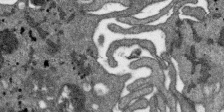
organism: Human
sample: Lung epithelial cells, uninfected (mock) control